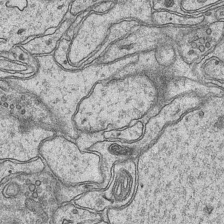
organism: Mouse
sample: CA1 Hippocampus